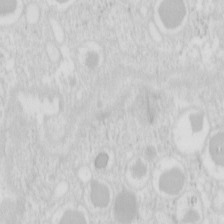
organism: Mouse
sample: Pancreas